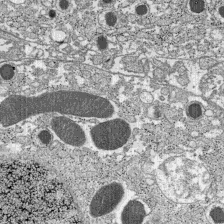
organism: C57BL Mouse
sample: Pancreatic islet